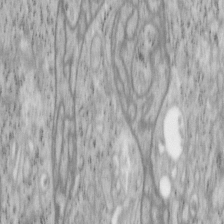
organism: Human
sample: HeLa cells